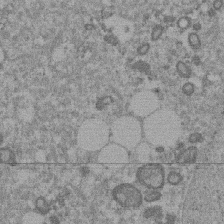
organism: Mouse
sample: Dividing mouse embryo 1 cell stage